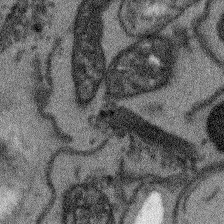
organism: Arabidopsis thaliana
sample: Root tip